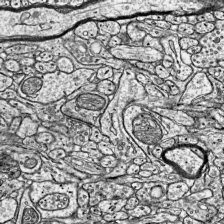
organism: Mouse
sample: Visual Cortex